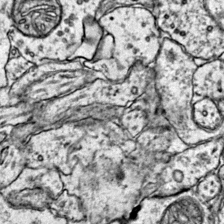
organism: Mouse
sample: Primary visual cortex